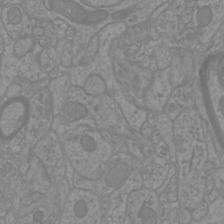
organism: Mouse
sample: Cortical neurons